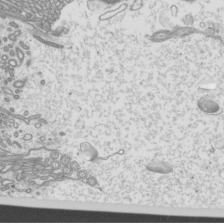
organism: Mouse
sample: Cilia; mouse epididymis